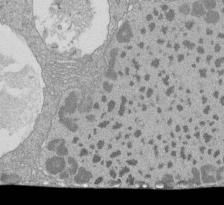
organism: Tetrahymena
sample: Cilia in tetrahymena